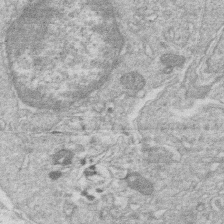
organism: Human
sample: Macrophage cells